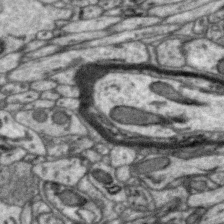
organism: Zebra finch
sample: Brain